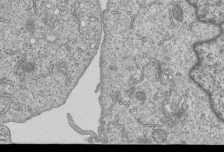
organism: Human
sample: MDA-MB-231 cells